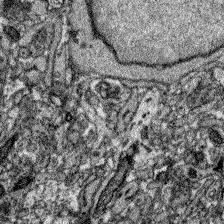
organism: Zebrafish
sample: Larval olfactory bulb